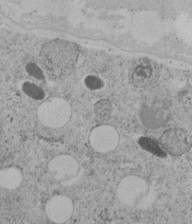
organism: C. elegans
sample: C. elegans embryo early stage